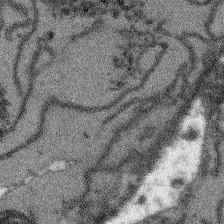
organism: Arabidopsis thaliana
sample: Root tip